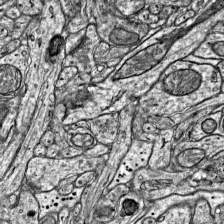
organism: Mouse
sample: Visual Cortex